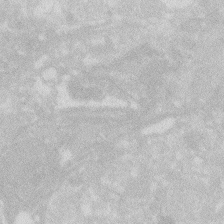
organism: Zebrafish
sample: Macrophage